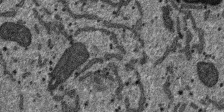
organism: Human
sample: Lung epithelial cells infected with SARS-CoV-2